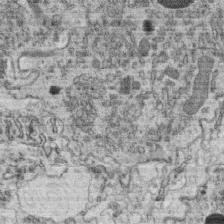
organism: C. elegans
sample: C. elegans oocyte; sperm cells